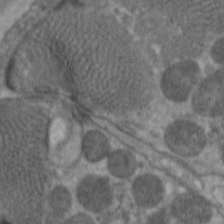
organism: C. elegans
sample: Pharynx